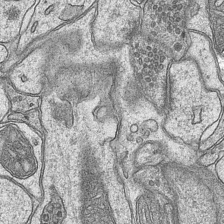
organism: Mouse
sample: CA1 Hippocampus